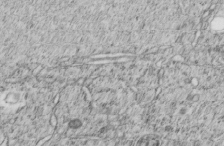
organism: C. elegans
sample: C. elegans embryo early stage